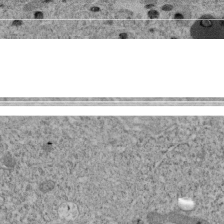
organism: C. elegans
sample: C. elegans embryo early stage